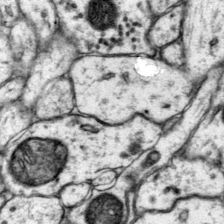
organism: Mouse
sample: Primary visual cortex